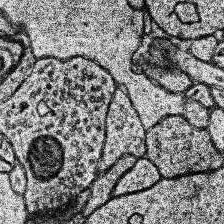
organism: Human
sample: Temporal Lobe